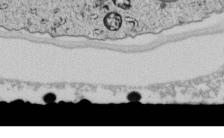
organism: C. elegans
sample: C. elegans embryo early stage